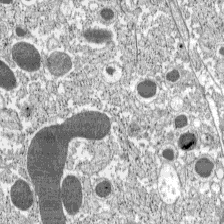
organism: C57BL Mouse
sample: Pancreatic islet